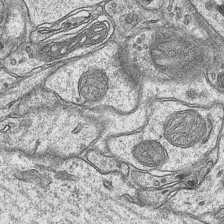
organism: Mouse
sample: CA1 Hippocampus